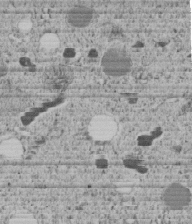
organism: C. elegans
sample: C. elegans embryo early stage